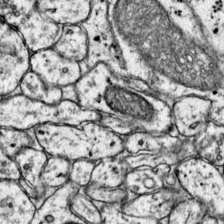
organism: Mouse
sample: Primary visual cortex